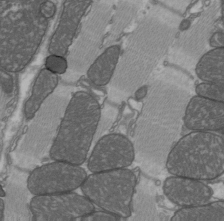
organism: C57BL Mouse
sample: Heart